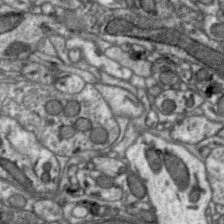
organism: Zebra finch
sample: Brain